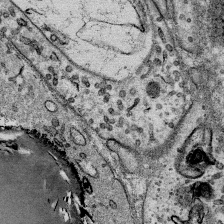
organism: Mouse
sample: Mouse Salivary gland